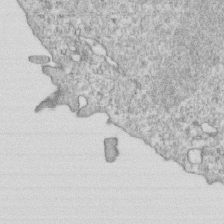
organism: Mouse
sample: Activated OT-1 CD8+ T cells